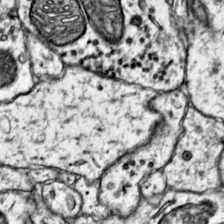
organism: Mouse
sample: Primary visual cortex